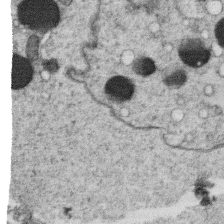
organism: C. elegans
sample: C. elegans oocyte; sperm cells